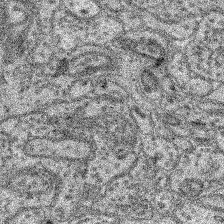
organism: Mouse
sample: Retina